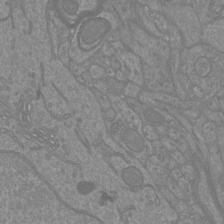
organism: Mouse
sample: Cortical neurons